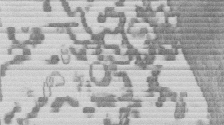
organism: Mouse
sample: Dividing mouse embryo 1 cell stage